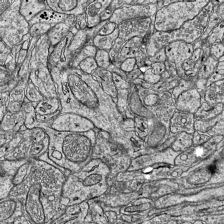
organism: Mouse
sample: Visual Cortex